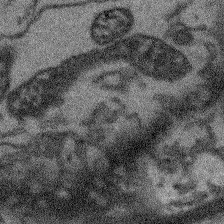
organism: Arabidopsis thaliana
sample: Root tip